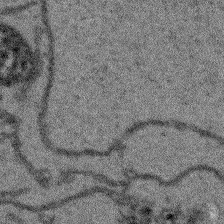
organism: Arabidopsis thaliana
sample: Root tip